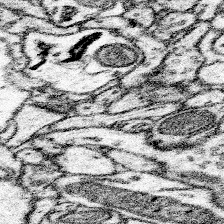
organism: Mouse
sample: Somatosensory cortex neuropil